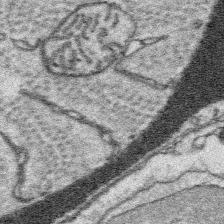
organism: Platynereis dumerilii